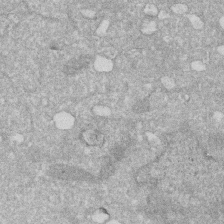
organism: Human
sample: HIV infected U937 cells